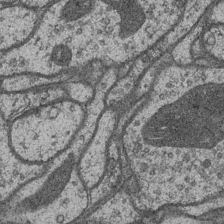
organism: Drosophila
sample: Optic medulla